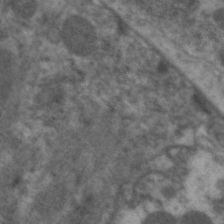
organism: C. elegans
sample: Pharynx